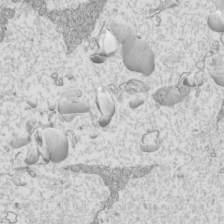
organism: Mouse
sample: Cilia; mouse epididymis